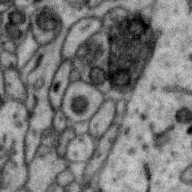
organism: Zebra finch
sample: Brain